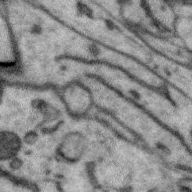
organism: Zebra finch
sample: Brain